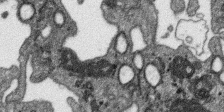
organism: Human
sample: Lung epithelial cells infected with SARS-CoV-2